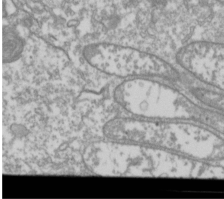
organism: Drosophila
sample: Cell division; meiosis; drosophila spermatocytes